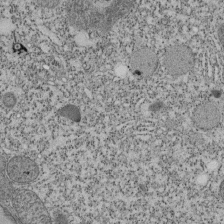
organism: Tetrahymena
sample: Cilia in tetrahymena